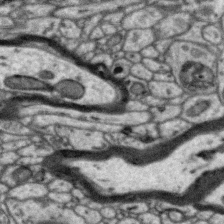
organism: Zebra finch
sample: Brain